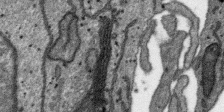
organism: Human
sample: Lung epithelial cells, uninfected (mock) control